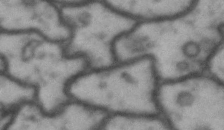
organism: Drosophila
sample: Brain